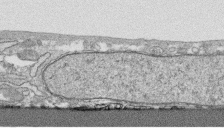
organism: Human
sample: CRL-1474